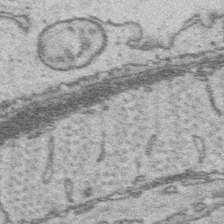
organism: Platynereis dumerilii